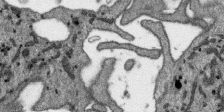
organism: Human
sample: Lung epithelial cells, uninfected (mock) control